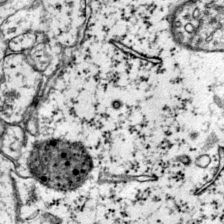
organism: Mouse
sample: Primary visual cortex